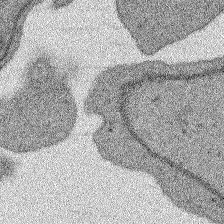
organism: Human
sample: HeLa cells